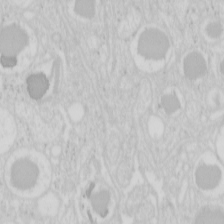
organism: Mouse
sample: Pancreas